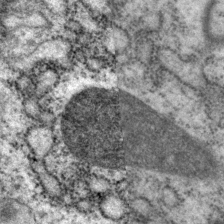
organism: P. pacificus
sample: Pharynx